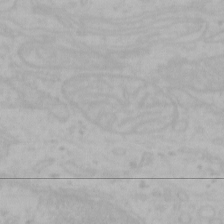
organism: Mouse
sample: Choroid plexus